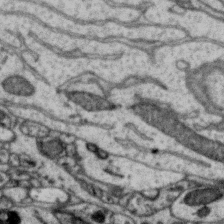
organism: Zebra finch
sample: Brain